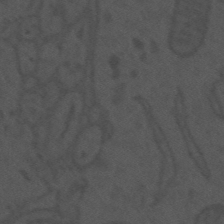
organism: Mouse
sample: Suprachiasmatic nucleus